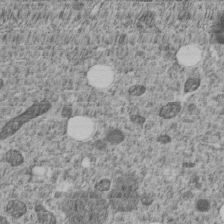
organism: C. elegans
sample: C. elegans embryo early stage